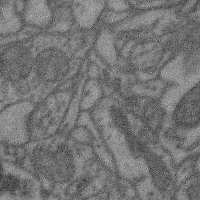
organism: Mouse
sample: Cerebral cortex